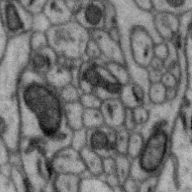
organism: Zebra finch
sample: Brain